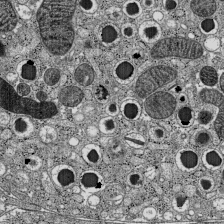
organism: C57BL Mouse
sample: Pancreatic islet